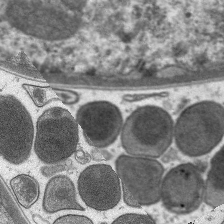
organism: C. elegans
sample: Pharynx